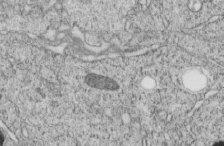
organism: C. elegans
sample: C. elegans embryo early stage